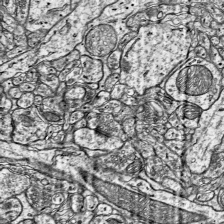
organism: Mouse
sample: Visual Cortex